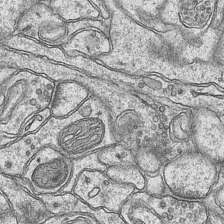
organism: Mouse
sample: CA1 Hippocampus